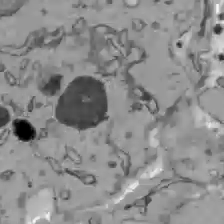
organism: C57BL Mouse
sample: Liver